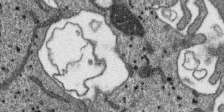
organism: Human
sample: Lung epithelial cells infected with SARS-CoV-2